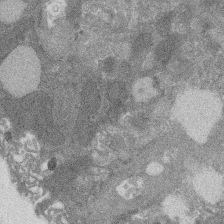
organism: Rat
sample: Salivary granule